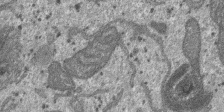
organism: Human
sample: Lung epithelial cells infected with SARS-CoV-2